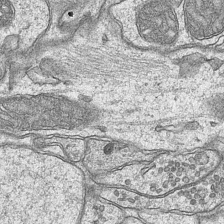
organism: Mouse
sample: CA1 Hippocampus